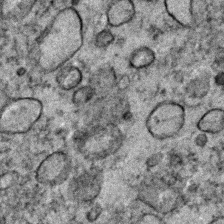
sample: Trachea